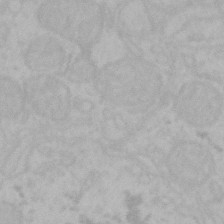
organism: Mouse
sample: Choroid plexus